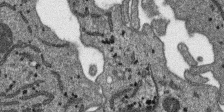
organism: Human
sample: Lung epithelial cells infected with SARS-CoV-2